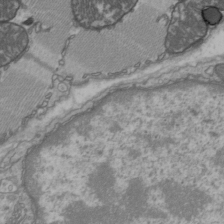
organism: C57BL Mouse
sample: Heart